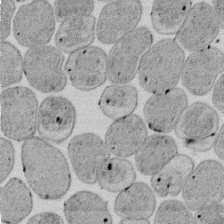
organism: E. coli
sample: Bacterial nucleoid